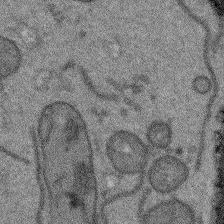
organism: Arabidopsis thaliana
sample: Root tip